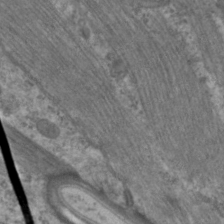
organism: C. elegans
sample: Pharynx